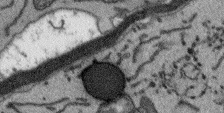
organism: Arabidopsis thaliana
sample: Root tip